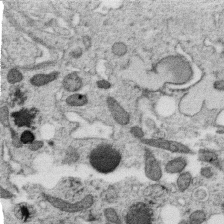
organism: C. elegans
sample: C. elegans oocyte; sperm cells